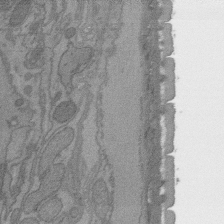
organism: C. elegans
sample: AFD neurons C. elegans